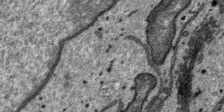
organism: Human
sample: Lung epithelial cells, uninfected (mock) control